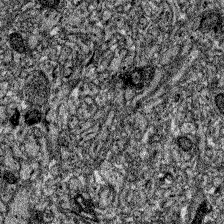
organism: Zebrafish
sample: Larval olfactory bulb